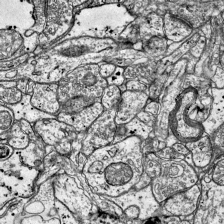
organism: Mouse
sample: Visual Cortex